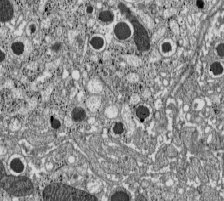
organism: C57BL Mouse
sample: Pancreatic islet